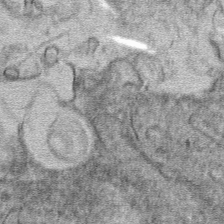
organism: Mouse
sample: Mouse hepatocytes